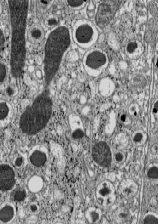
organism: C57BL Mouse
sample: Pancreatic islet